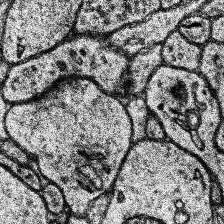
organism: Human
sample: Temporal Lobe